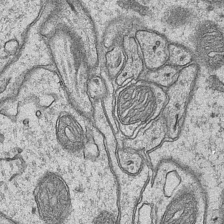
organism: Mouse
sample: CA1 Hippocampus